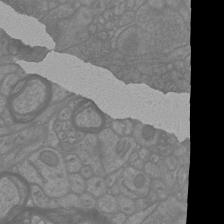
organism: Mouse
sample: Cortical neurons